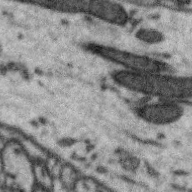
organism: Zebra finch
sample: Brain